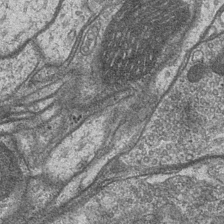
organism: Drosophila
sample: Optic medulla